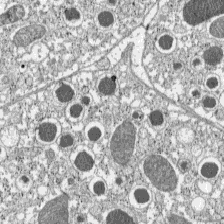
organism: C57BL Mouse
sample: Pancreatic islet